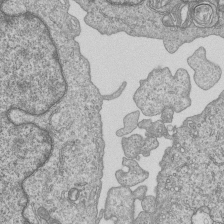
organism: Human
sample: MDA-MB-231 cells